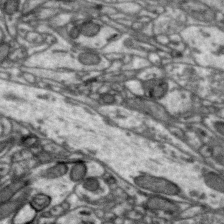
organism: Zebra finch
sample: Brain